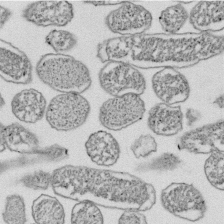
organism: E. coli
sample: Bacterial nucleoid